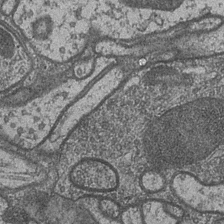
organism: Drosophila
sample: Optic medulla